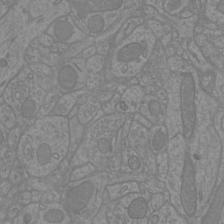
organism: Mouse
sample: Cortical neurons